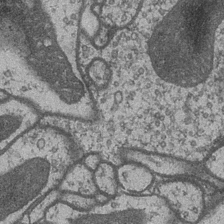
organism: Drosophila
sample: Optic medulla